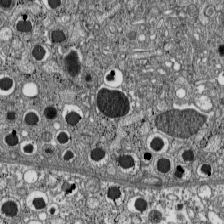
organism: C57BL Mouse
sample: Pancreatic islet